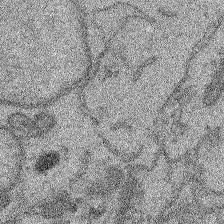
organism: Human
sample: HeLa cells